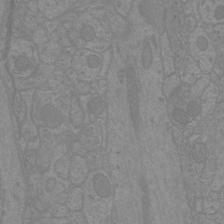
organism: Mouse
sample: Cortical neurons